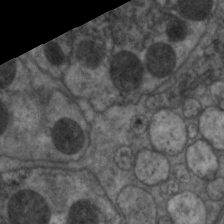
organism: C. elegans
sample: Pharynx